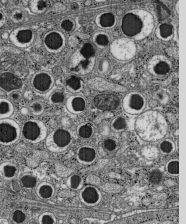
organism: C57BL Mouse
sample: Pancreatic islet